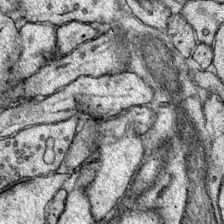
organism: Mouse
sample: Primary visual cortex